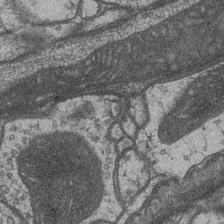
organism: Drosophila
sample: Optic medulla